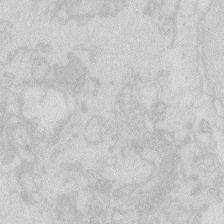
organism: Zebrafish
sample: Macrophage